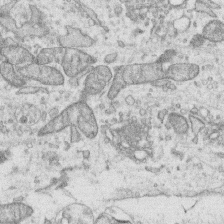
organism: Human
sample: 1205lu cells